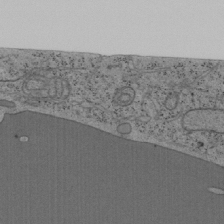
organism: Human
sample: HeLa cells